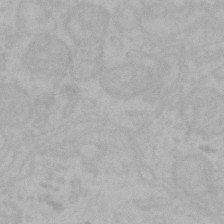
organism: Mouse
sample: Choroid plexus